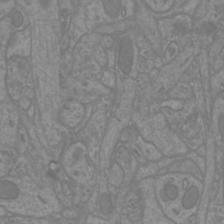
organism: Mouse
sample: Cortical neurons